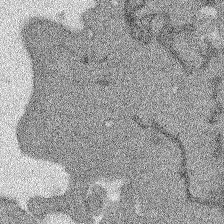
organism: Human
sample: HeLa cells